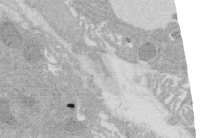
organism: Rat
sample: Salivary granule